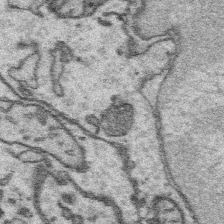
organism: Platynereis dumerilii